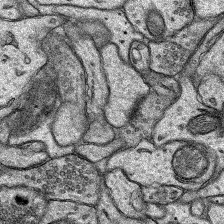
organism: Rat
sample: Hippocampus